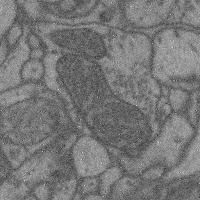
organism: Mouse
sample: Cerebral cortex